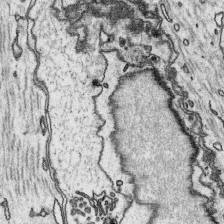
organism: Platynereis dumerilii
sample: Parapodia